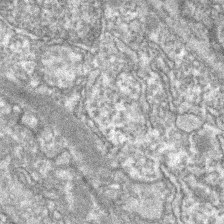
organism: Zebrafish